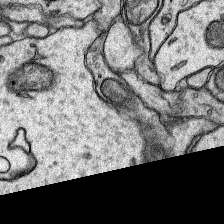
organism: Rat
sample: Hippocampus